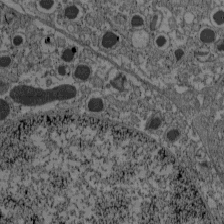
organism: C57BL Mouse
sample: Pancreatic islet